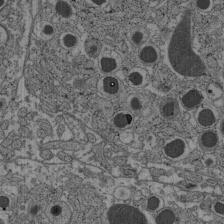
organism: C57BL Mouse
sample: Pancreatic islet